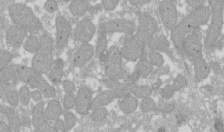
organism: Xenopus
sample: Cilia; centrioles in frog embryo cells